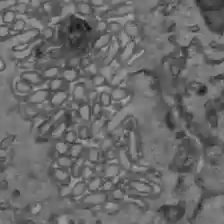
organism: C57BL Mouse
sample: Liver